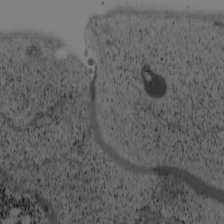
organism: African green monkey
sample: COS-7 cells